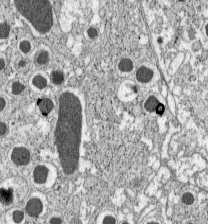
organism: C57BL Mouse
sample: Pancreatic islet